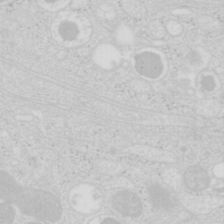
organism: Mouse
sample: Pancreas